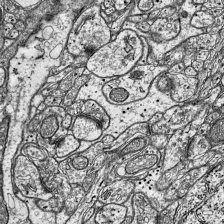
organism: Mouse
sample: Visual Cortex